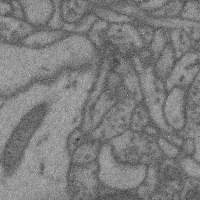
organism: Mouse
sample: Cerebral cortex